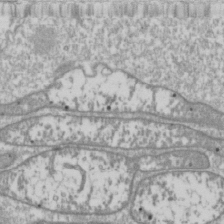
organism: Drosophila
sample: Cell division; meiosis; drosophila spermatocytes